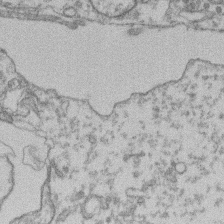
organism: Mouse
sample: T cell stromal cell synapse